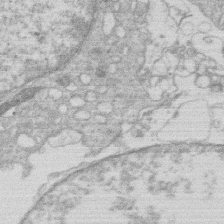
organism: Human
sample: Macrophage cells